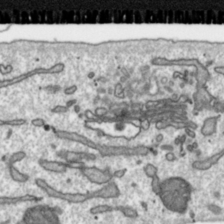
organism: Toxoplasma gondii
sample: Parasites in a vacuole inside a host cell